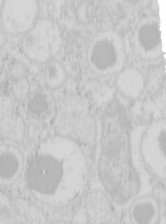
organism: Mouse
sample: Pancreas